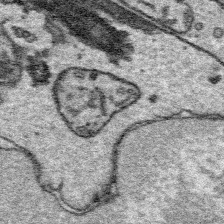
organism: Platynereis dumerilii